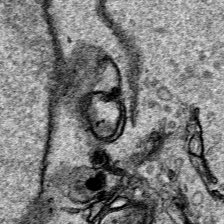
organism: Human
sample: Mitochondria in HCT116 cells